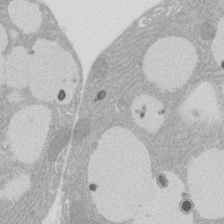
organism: Rat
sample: Salivary granule